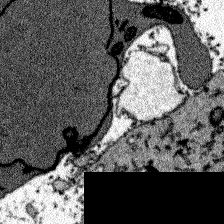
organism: Zebrafish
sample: Larval olfactory bulb